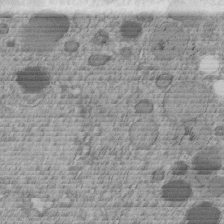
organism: C. elegans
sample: C. elegans embryo early stage